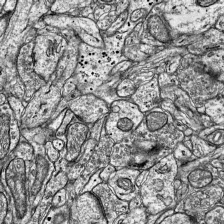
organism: Mouse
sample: Visual Cortex